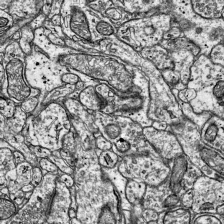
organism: Mouse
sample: Visual Cortex